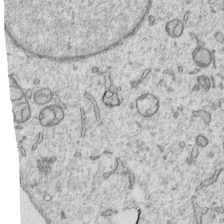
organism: Human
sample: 1205lu cells